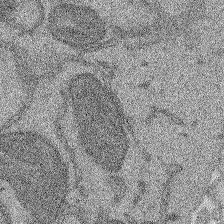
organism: Human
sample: HeLa cells